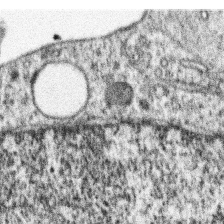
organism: Human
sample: HeLa cells